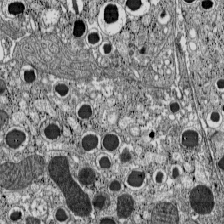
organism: C57BL Mouse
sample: Pancreatic islet